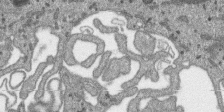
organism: Human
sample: Lung epithelial cells infected with SARS-CoV-2